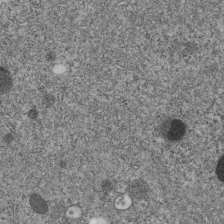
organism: C. elegans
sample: C. elegans embryo early stage